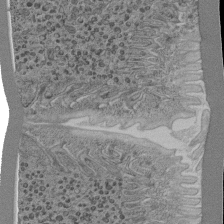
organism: C. elegans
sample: C. elegans pharynx